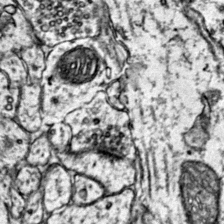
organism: Mouse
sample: Primary visual cortex